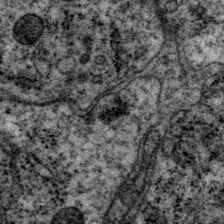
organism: P. pacificus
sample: Pharynx